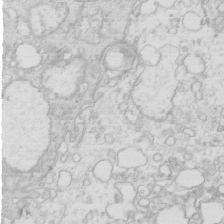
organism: Mouse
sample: Multiciliated cells